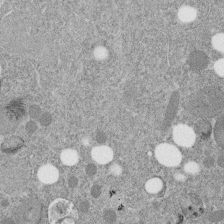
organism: C. elegans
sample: C. elegans embryo early stage